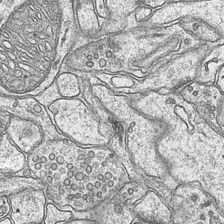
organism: Mouse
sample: CA1 Hippocampus